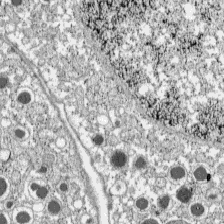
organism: C57BL Mouse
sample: Pancreatic islet